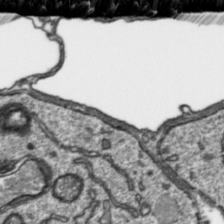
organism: Toxoplasma gondii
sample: Parasites in a vacuole inside a host cell